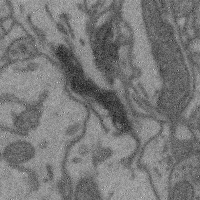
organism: Mouse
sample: Cerebral cortex